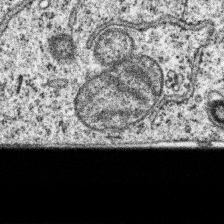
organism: Human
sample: HeLa cells